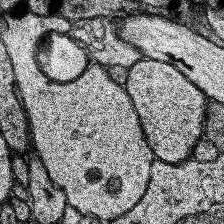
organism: Human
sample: Temporal Lobe